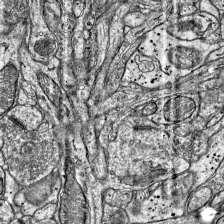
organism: Mouse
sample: Visual Cortex